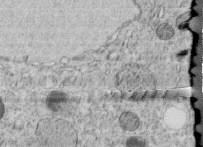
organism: C. elegans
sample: C. elegans embryo early stage